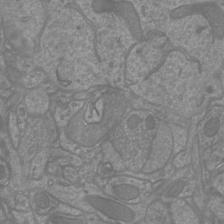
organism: Mouse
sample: Cortical neurons